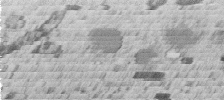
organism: C. elegans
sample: C. elegans embryo early stage